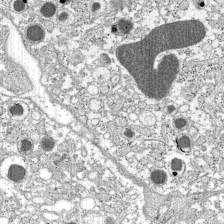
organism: C57BL Mouse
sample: Pancreatic islet